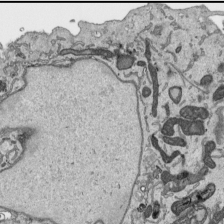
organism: Human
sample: Mitochondria in HCT116 cells